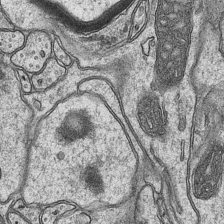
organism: Mouse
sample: CA1 Hippocampus